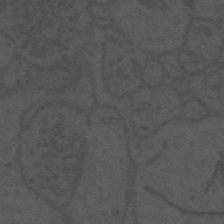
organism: Mouse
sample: Suprachiasmatic nucleus